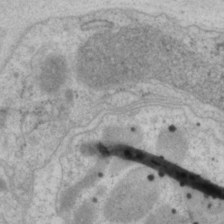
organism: P. pacificus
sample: Pharynx